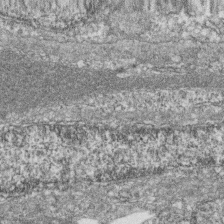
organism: Zebrafish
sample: Cilia; retinal pigment epithelium